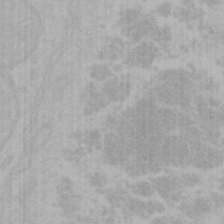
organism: Mouse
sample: Choroid plexus